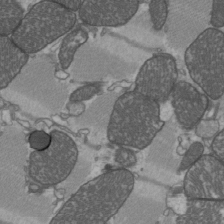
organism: C57BL Mouse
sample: Heart